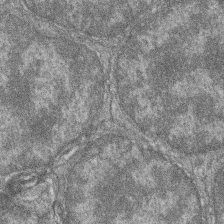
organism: Zebrafish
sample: Cilia; retinal pigment epithelium